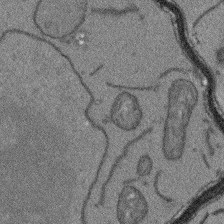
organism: Arabidopsis thaliana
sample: Root tip